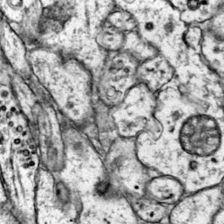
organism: Mouse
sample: Primary visual cortex